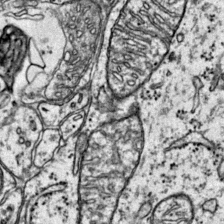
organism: Mouse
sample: Primary visual cortex